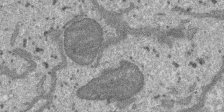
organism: Human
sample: Lung epithelial cells infected with SARS-CoV-2